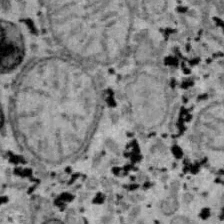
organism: Mouse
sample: Liver from an obese (ob/ob) mouse